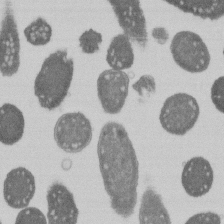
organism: E. coli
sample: Bacterial nucleoid